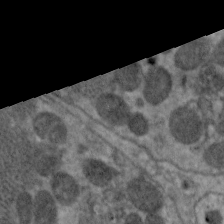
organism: C. elegans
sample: Pharynx